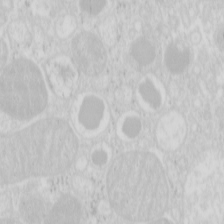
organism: Mouse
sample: Pancreas